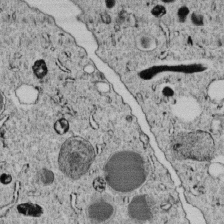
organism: C. elegans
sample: C. elegans embryo early stage